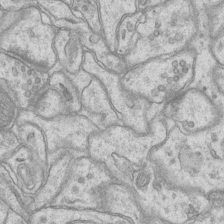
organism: Mouse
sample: CA1 Hippocampus